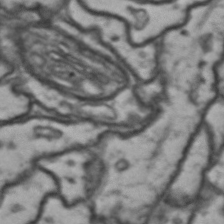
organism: Drosophila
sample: Brain